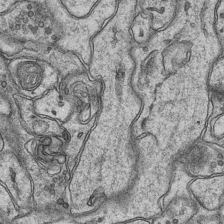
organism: Mouse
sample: CA1 Hippocampus